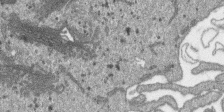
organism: Human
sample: Lung epithelial cells infected with SARS-CoV-2